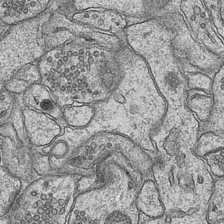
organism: Mouse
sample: CA1 Hippocampus